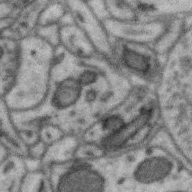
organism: Zebra finch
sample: Brain